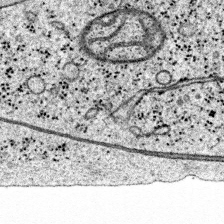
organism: Human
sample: HeLa cells